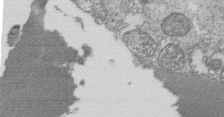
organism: Tetrahymena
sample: Cilia in tetrahymena